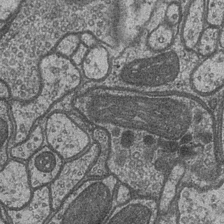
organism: Drosophila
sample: Optic medulla